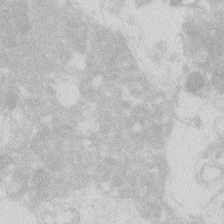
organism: Zebrafish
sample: Macrophage